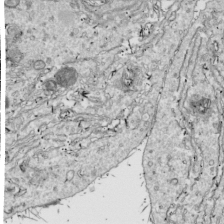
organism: Drosophila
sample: Cell division; meiosis; drosophila spermatocytes